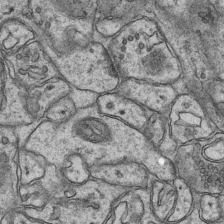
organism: Mouse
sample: CA1 Hippocampus